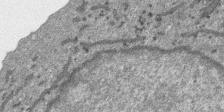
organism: Human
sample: Lung epithelial cells infected with SARS-CoV-2